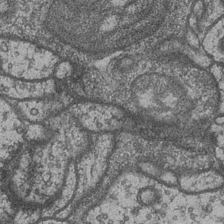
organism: Drosophila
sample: Optic medulla